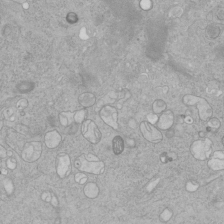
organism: Human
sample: Mitochondria in HCT116 cells